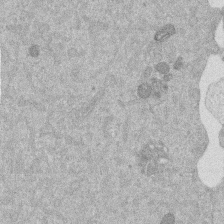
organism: Mouse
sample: Dividing mouse embryo 1 cell stage